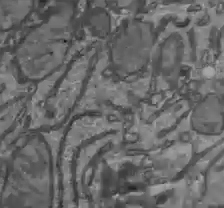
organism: C57BL Mouse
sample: Liver